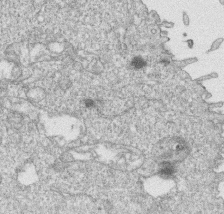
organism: Human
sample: HeLa cell HIV synapse